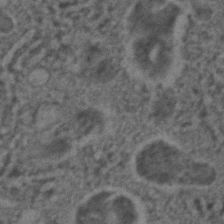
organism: C. elegans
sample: C. elegans embryo